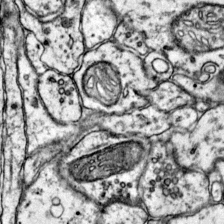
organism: Mouse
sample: Primary visual cortex